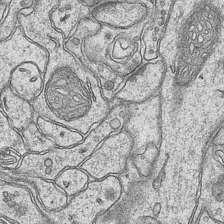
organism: Mouse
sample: CA1 Hippocampus